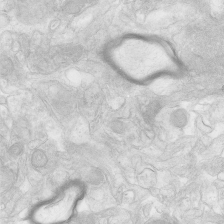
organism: Human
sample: Neocortex